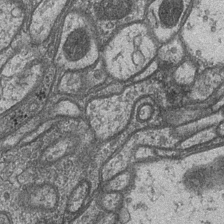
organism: Drosophila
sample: Optic medulla